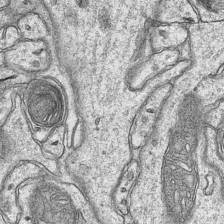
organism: Mouse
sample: CA1 Hippocampus